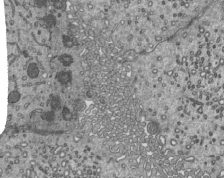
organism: Mouse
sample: Mouse epididymis efferent ductule cilia